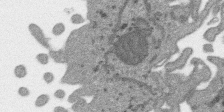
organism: Human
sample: Lung epithelial cells infected with SARS-CoV-2